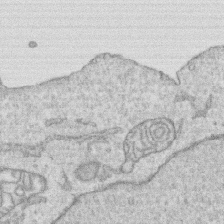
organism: Human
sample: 1205lu cells